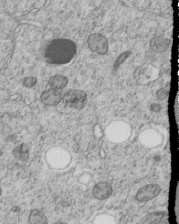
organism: C. elegans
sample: C. elegans embryo early stage